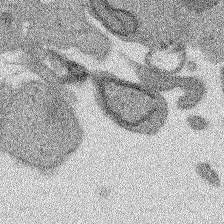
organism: Human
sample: HeLa cells